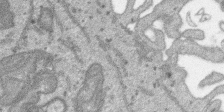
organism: Human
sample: Lung epithelial cells infected with SARS-CoV-2